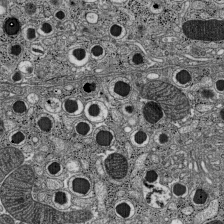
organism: C57BL Mouse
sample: Pancreatic islet